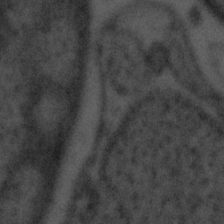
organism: Tuwongella immobilis